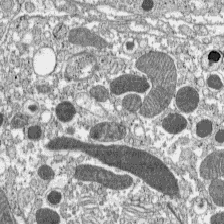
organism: C57BL Mouse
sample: Pancreatic islet